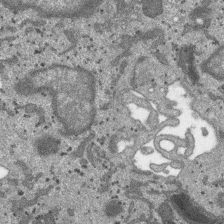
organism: Human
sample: Lung epithelial cells infected with SARS-CoV-2